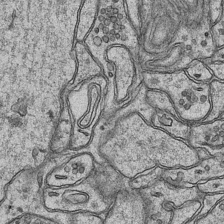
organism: Mouse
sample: CA1 Hippocampus